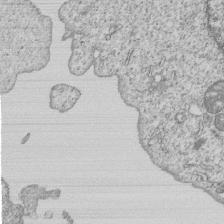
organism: Human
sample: MDA-MB-231 cells